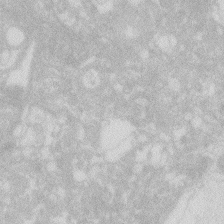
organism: Zebrafish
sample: Macrophage